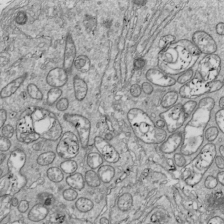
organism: Drosophila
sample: Cell division; meiosis; drosophila spermatocytes